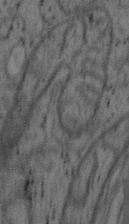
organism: Human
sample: HeLa cells